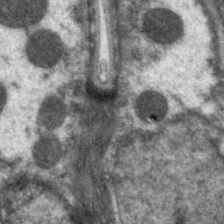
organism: C. elegans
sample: Pharynx